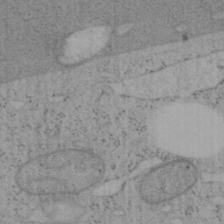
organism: Mouse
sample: OT-I killer T cells with ID8 ovarian cancer cells